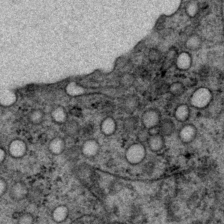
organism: P. pacificus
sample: Pharynx